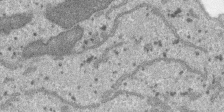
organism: Human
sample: Lung epithelial cells infected with SARS-CoV-2